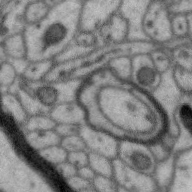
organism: Zebra finch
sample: Brain